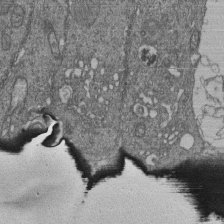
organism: Human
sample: Retinal organoid Rod and Cone cells